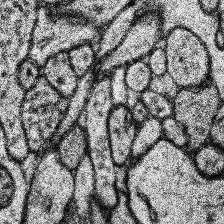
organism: Human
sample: Temporal Lobe